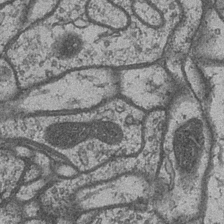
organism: Drosophila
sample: Optic medulla